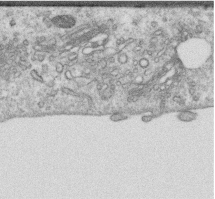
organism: Human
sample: Centriole in RPE cells